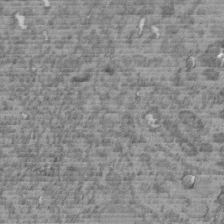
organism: C. elegans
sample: C. elegans embryo early stage